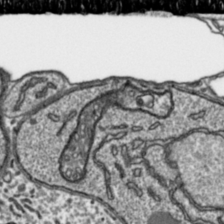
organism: Toxoplasma gondii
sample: Parasites in a vacuole inside a host cell